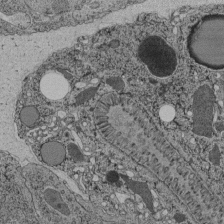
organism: C. elegans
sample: C. elegans pharynx